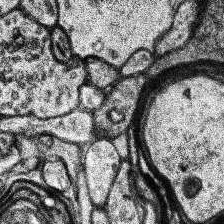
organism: Human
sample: Temporal Lobe